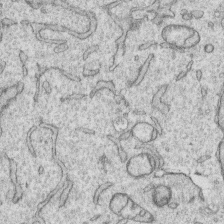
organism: Human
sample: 1205lu cells